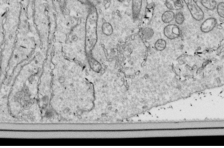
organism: Drosophila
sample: Cell division; meiosis; drosophila spermatocytes